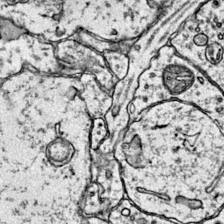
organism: Mouse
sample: Primary visual cortex